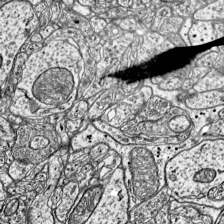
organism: Mouse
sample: Visual Cortex